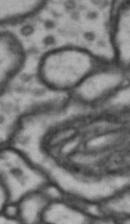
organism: Drosophila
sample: Brain